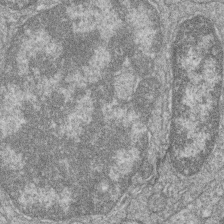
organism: Zebrafish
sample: Cilia; retinal pigment epithelium